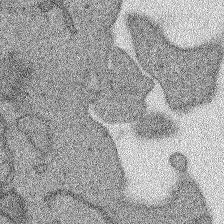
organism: Human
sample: HeLa cells